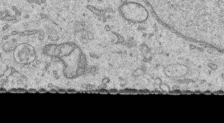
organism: Human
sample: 1205lu cells